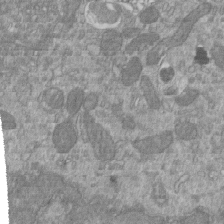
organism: Mouse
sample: ED-1 cell nuclei; centrioles